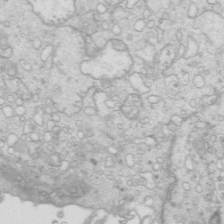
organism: Mouse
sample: Multiciliated cells